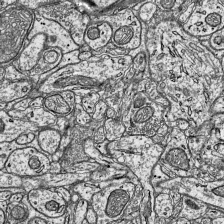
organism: Mouse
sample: Visual Cortex